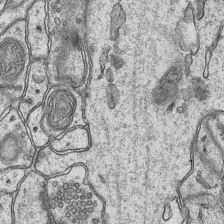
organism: Mouse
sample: CA1 Hippocampus